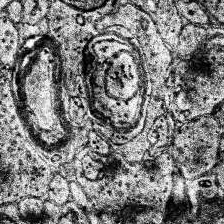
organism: Human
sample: Temporal Lobe